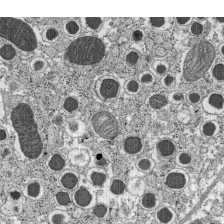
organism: C57BL Mouse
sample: Pancreatic islet